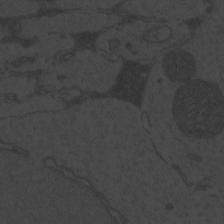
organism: Zebrafish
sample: Macrophage infected with Toxoplasma gondii